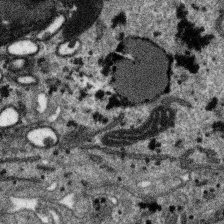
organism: Human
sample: Lung epithelial cells infected with SARS-CoV-2